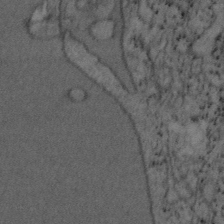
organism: Human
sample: HeLa cells